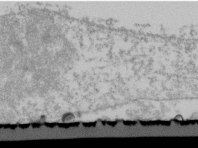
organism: Human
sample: U2-OS cells